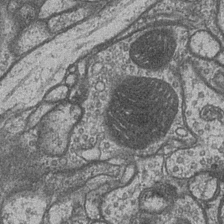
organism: Drosophila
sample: Optic medulla